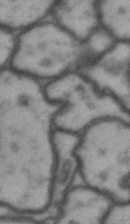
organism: Drosophila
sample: Brain